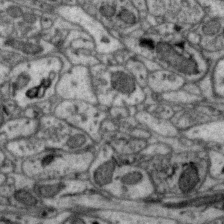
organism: Zebra finch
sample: Brain